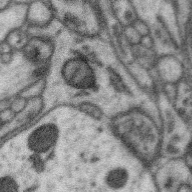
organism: Zebra finch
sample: Brain